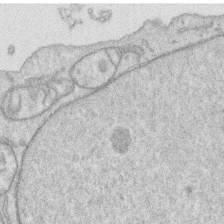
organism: Human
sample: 1205lu cells